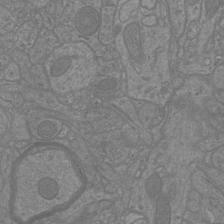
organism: Mouse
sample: Cortical neurons